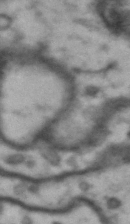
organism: Drosophila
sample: Brain